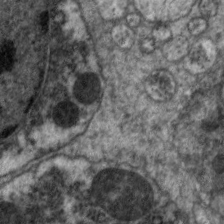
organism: C. elegans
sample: Pharynx